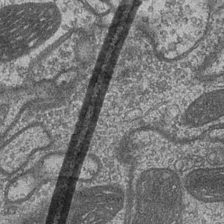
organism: Drosophila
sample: Optic medulla